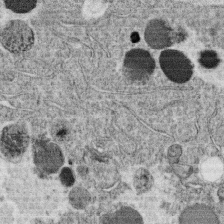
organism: C. elegans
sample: C. elegans oocyte; sperm cells